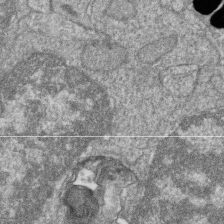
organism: Zebrafish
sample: Cilia; retinal pigment epithelium